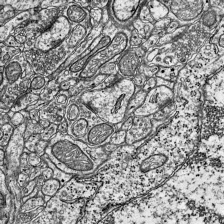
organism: Mouse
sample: Visual Cortex